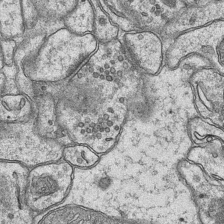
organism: Mouse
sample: CA1 Hippocampus